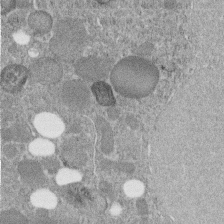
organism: C. elegans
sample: C. elegans embryo early stage